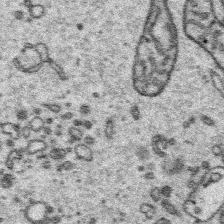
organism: Platynereis dumerilii